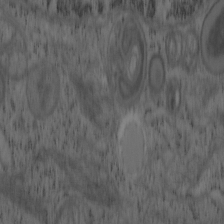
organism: Human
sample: HeLa cells